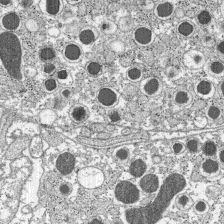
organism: C57BL Mouse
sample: Pancreatic islet